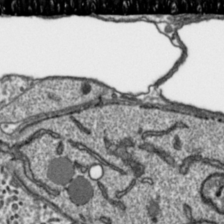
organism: Toxoplasma gondii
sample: Parasites in a vacuole inside a host cell